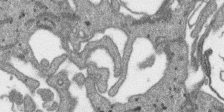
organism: Human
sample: Lung epithelial cells infected with SARS-CoV-2